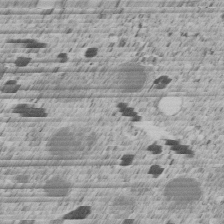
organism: C. elegans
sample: C. elegans embryo early stage